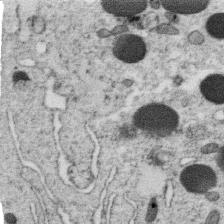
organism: C. elegans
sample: C. elegans oocyte; sperm cells